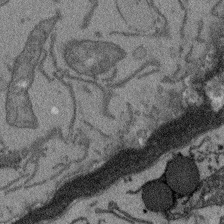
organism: Arabidopsis thaliana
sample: Root tip